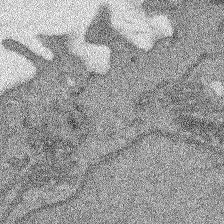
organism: Human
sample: HeLa cells